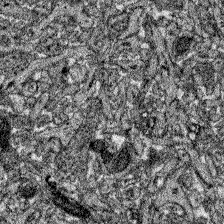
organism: Zebrafish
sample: Larval olfactory bulb